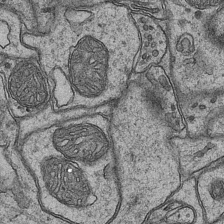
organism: Mouse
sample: CA1 Hippocampus